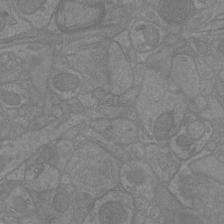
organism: Mouse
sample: Cortical neurons